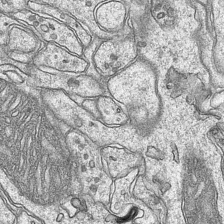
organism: Mouse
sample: CA1 Hippocampus